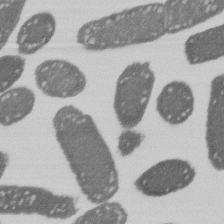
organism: E. coli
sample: Bacterial nucleoid